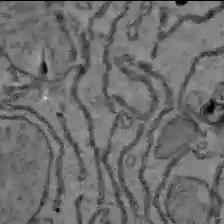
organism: C57BL Mouse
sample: Liver